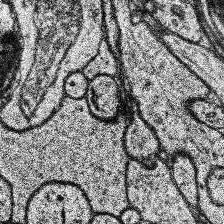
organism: Human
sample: Temporal Lobe